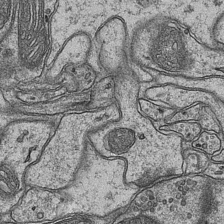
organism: Mouse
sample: CA1 Hippocampus